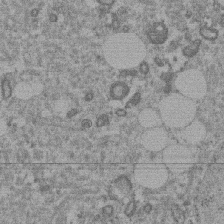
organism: Mouse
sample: Dividing mouse embryo 1 cell stage